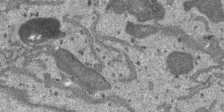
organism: Human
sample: Lung epithelial cells infected with SARS-CoV-2